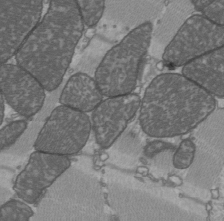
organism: C57BL Mouse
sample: Heart